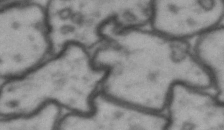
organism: Drosophila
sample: Brain